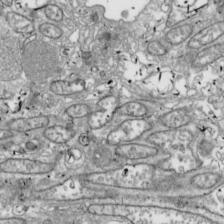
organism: Drosophila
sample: Cell division; meiosis; drosophila spermatocytes